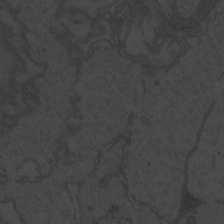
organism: Zebrafish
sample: Macrophage infected with Toxoplasma gondii